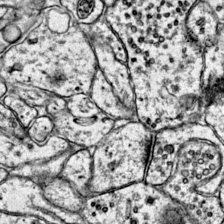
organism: Mouse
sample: Primary visual cortex